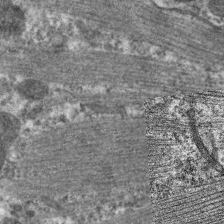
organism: C. elegans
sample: Pharynx